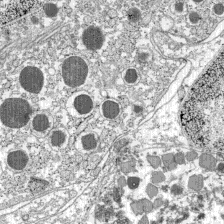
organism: C57BL Mouse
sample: Pancreatic islet